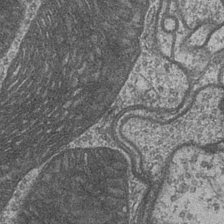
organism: Drosophila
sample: Optic medulla